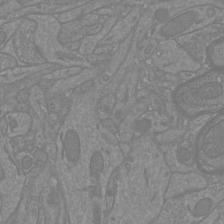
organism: Mouse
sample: Cortical neurons